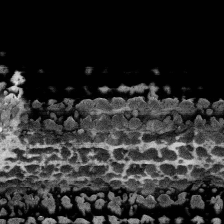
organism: Human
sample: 1205lu cells